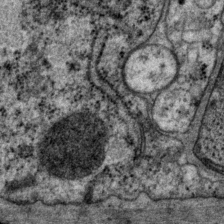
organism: P. pacificus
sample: Pharynx